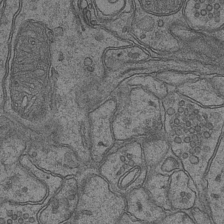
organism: Mouse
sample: CA1 Hippocampus